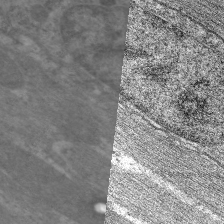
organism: C. elegans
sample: Pharynx